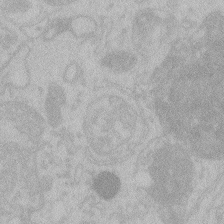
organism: Zebrafish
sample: Macrophage infected with Toxoplasma gondii